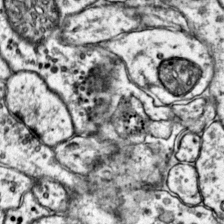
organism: Mouse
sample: Primary visual cortex